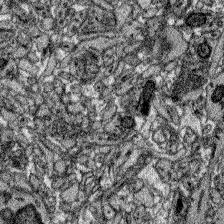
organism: Zebrafish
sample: Larval olfactory bulb